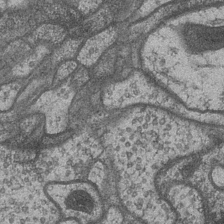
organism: Drosophila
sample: Optic medulla